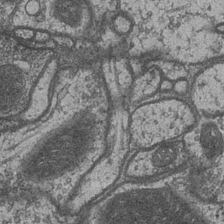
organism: Drosophila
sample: Optic medulla